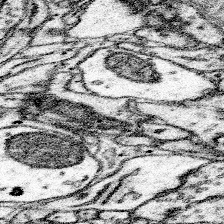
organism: Mouse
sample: Somatosensory cortex neuropil